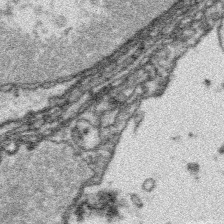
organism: Platynereis dumerilii